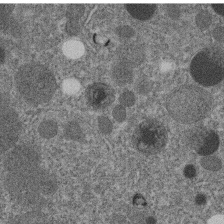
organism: C. elegans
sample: C. elegans embryo early stage